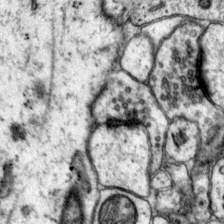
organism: Mouse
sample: Primary visual cortex